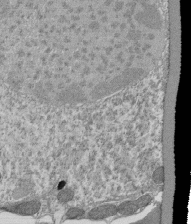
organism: Tetrahymena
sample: Cilia in tetrahymena